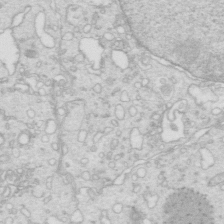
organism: Mouse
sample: Multiciliated cells